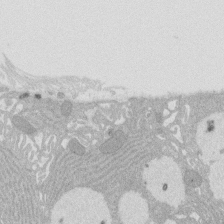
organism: Rat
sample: Salivary granule